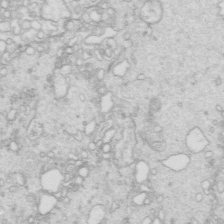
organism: Mouse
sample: Multiciliated cells